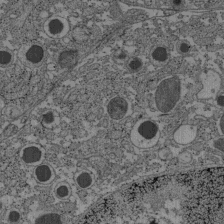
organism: C57BL Mouse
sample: Pancreatic islet